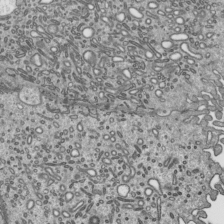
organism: Mouse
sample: Mouse epididymis efferent ductule cilia